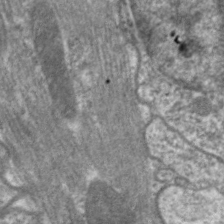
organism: C. elegans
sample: Pharynx